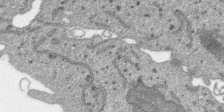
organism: Human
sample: Lung epithelial cells infected with SARS-CoV-2